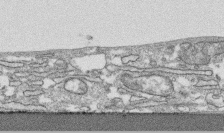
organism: Human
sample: CRL-1474